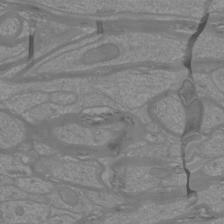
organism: Mouse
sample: Cortical neurons